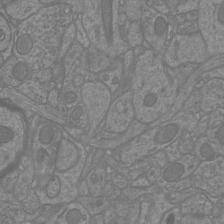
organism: Mouse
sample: Cortical neurons